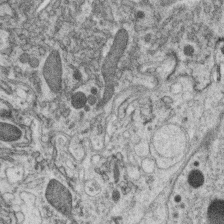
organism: C. elegans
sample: C. elegans oocyte; sperm cells